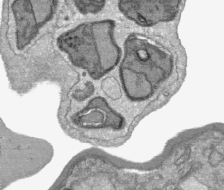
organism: Plasmodium falciparum